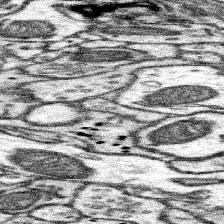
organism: Mouse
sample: Somatosensory cortex neuropil